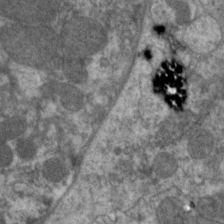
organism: C. elegans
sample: Pharynx